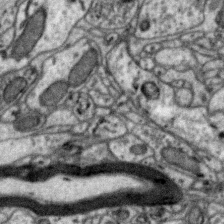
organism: Zebra finch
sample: Brain